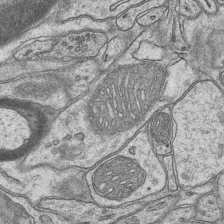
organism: Mouse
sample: CA1 Hippocampus